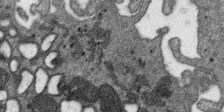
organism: Human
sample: Lung epithelial cells infected with SARS-CoV-2